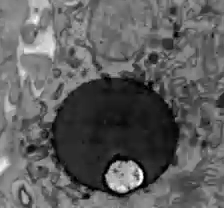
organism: C57BL Mouse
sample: Liver